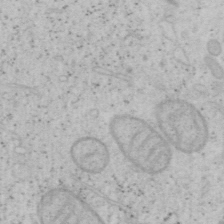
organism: Human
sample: HeLa cells